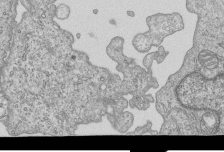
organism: Human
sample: MDA-MB-231 cells